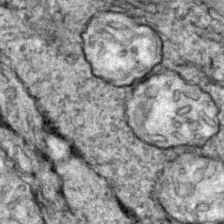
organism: Zebrafish